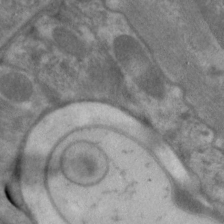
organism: C. elegans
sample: Pharynx